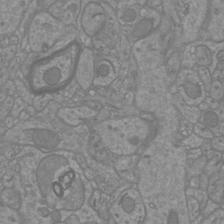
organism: Mouse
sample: Cortical neurons